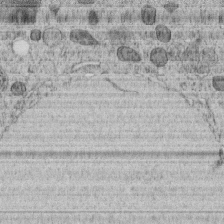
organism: C. elegans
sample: C. elegans embryo early stage